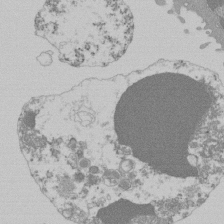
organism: Mouse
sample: Activated Pmel transgenic CD8+ T Cells